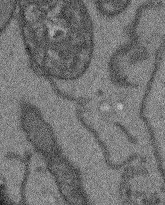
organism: Arabidopsis thaliana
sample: Root tip